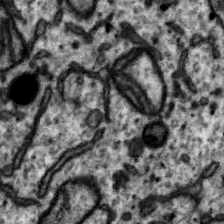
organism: Human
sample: HeLa cells